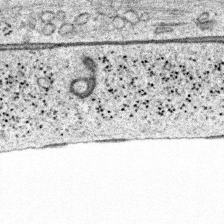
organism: Human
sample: HeLa cells